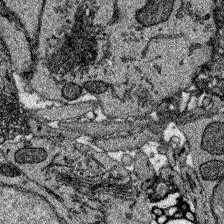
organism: Zebrafish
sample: Larval olfactory bulb